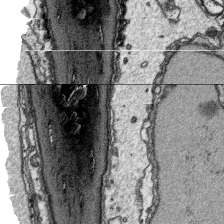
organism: Platynereis dumerilii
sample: Parapodia